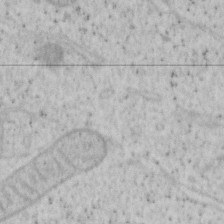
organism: Human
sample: HeLa cells